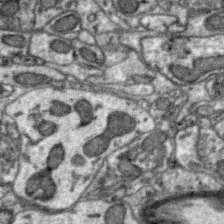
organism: Zebra finch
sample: Brain